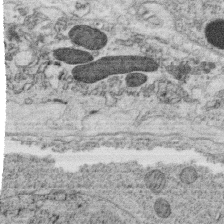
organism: C. elegans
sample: C. elegans oocyte; sperm cells